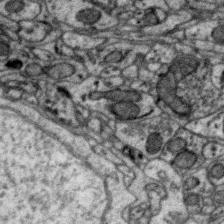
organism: Zebra finch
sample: Brain